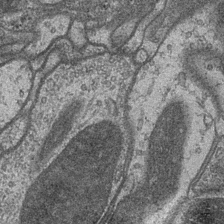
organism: Drosophila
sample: Optic medulla